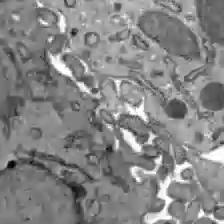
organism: C57BL Mouse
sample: Liver